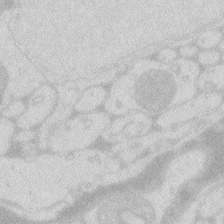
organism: Zebrafish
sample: Macrophage